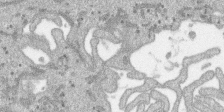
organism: Human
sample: Lung epithelial cells infected with SARS-CoV-2